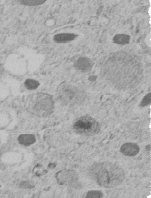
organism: C. elegans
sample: C. elegans embryo early stage